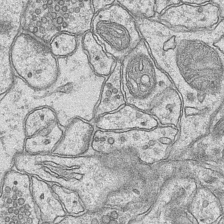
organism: Mouse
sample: CA1 Hippocampus